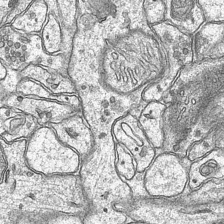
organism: Mouse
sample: CA1 Hippocampus